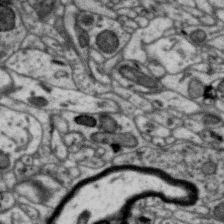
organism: Zebra finch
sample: Brain